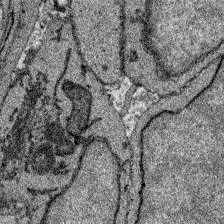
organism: Zebrafish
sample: Larval olfactory bulb